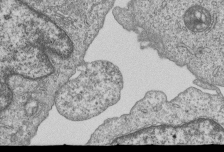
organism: Human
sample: MDA-MB-231 cells